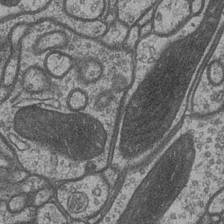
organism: Drosophila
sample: Optic medulla